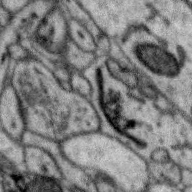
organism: Zebra finch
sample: Brain